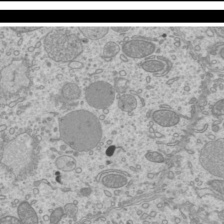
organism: Mouse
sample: Cilia; mouse epididymis